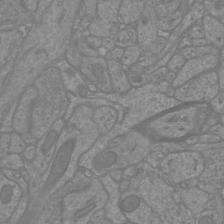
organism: Mouse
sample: Cortical neurons